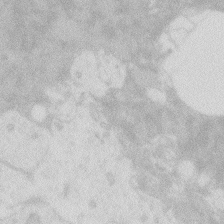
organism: Zebrafish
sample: Macrophage